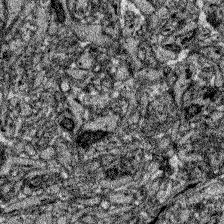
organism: Zebrafish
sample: Larval olfactory bulb